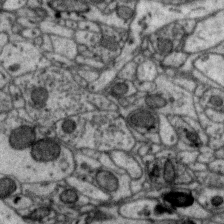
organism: Zebra finch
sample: Brain